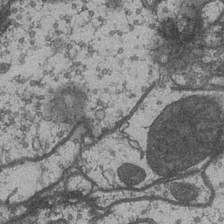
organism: Drosophila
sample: Optic medulla